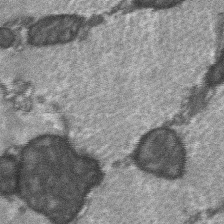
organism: C57BL Mouse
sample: Soleus